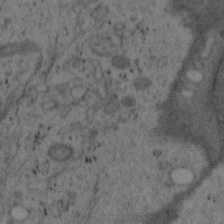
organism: Human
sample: HeLa cells